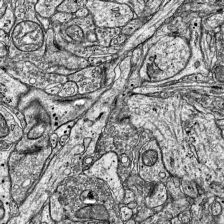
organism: Mouse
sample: Visual Cortex